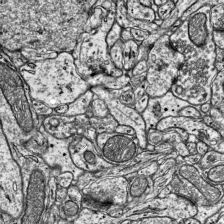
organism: Mouse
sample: Visual Cortex